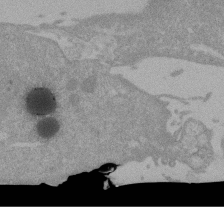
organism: Mouse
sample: ED-1 cell nuclei; centrioles